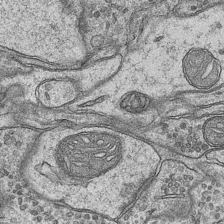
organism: Mouse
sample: CA1 Hippocampus